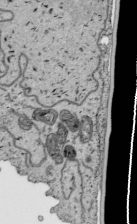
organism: Human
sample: Mitochondria in HCT116 cells